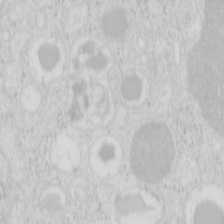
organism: Mouse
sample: Pancreas